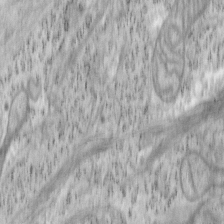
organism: Human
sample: HeLa cells